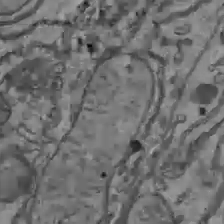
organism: C57BL Mouse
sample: Liver